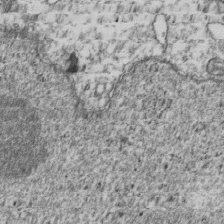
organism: Human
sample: Activated Jurkat CD4+ T cells